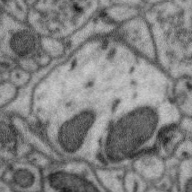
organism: Zebra finch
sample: Brain